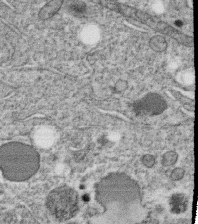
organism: C. elegans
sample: C. elegans oocyte; sperm cells